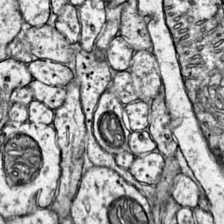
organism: Mouse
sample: Primary visual cortex